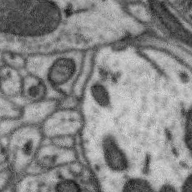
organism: Zebra finch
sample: Brain